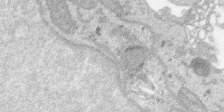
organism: Human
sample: Lung epithelial cells infected with SARS-CoV-2